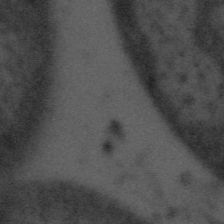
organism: Tuwongella immobilis